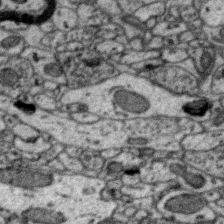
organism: Zebra finch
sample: Brain